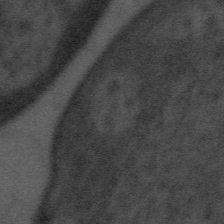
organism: Tuwongella immobilis